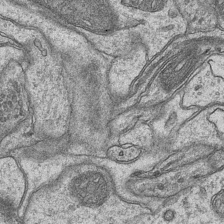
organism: Mouse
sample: CA1 Hippocampus